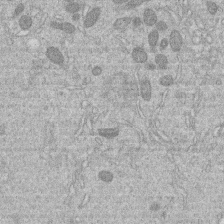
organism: Human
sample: Macrophage cells